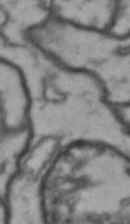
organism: Drosophila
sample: Brain